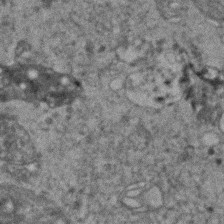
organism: Human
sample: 1205lu cells